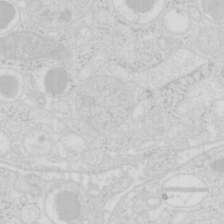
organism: Mouse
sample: Pancreas